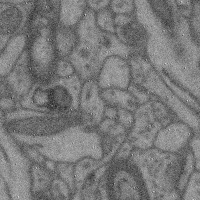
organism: Mouse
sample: Cerebral cortex